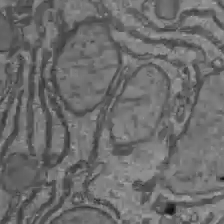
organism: C57BL Mouse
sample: Liver